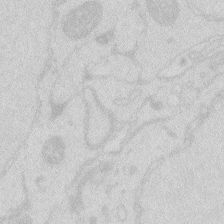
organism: Zebrafish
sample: Macrophage